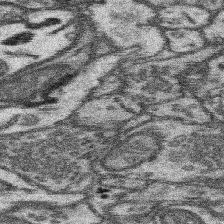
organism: Mouse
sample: Somatosensory cortex neuropil